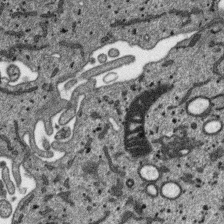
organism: Human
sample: Lung epithelial cells infected with SARS-CoV-2